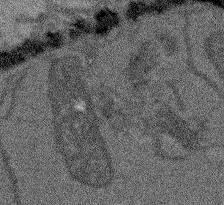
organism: Arabidopsis thaliana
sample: Root tip